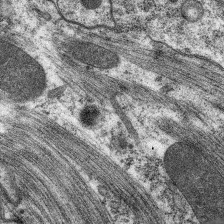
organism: C. elegans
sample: Pharynx